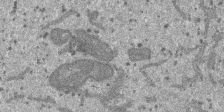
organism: Human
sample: Lung epithelial cells infected with SARS-CoV-2